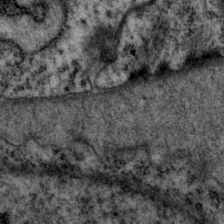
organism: P. pacificus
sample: Pharynx